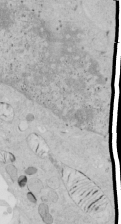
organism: Human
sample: Mitochondria in HCT116 cells